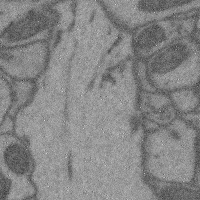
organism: Mouse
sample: Cerebral cortex